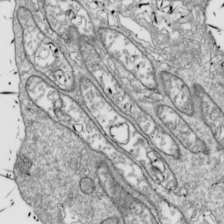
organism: Drosophila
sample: Cell division; meiosis; drosophila spermatocytes